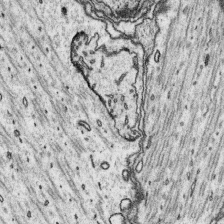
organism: Platynereis dumerilii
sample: Parapodia